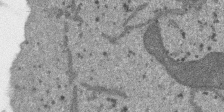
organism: Human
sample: Lung epithelial cells infected with SARS-CoV-2